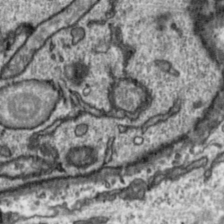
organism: Toxoplasma gondii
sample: Parasites in a vacuole inside a host cell